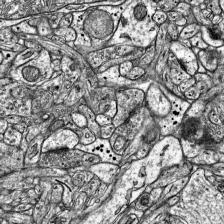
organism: Mouse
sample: Visual Cortex